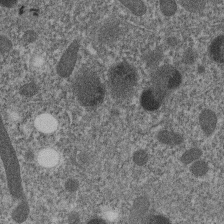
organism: C. elegans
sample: C. elegans embryo early stage